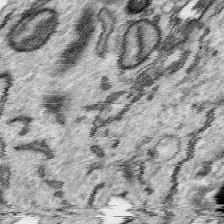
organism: Human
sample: HeLa cells